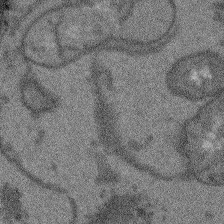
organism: Arabidopsis thaliana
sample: Root tip